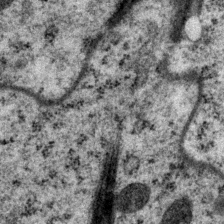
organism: P. pacificus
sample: Pharynx